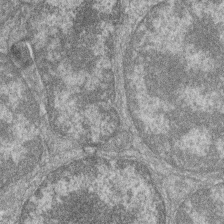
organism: Zebrafish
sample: Cilia; retinal pigment epithelium